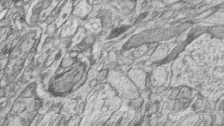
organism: Zebrafish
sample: synaptic ribbons in rod cells and cone cells